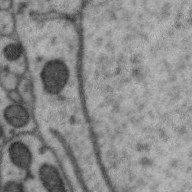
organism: Zebra finch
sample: Brain